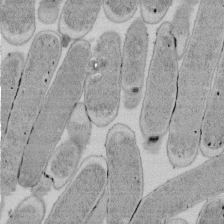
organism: E. coli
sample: Bacterial nucleoid